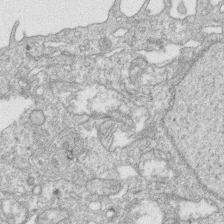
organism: Human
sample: HeLa cell HIV synapse